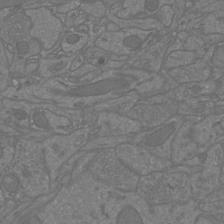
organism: Mouse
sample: Cortical neurons